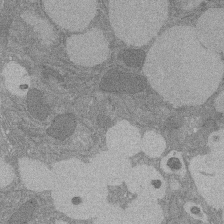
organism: Rat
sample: Salivary granule